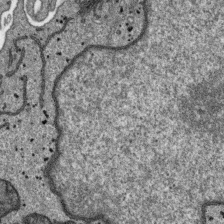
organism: Human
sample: Lung epithelial cells, uninfected (mock) control